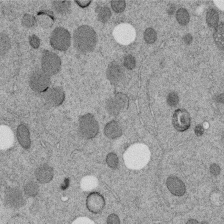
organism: C. elegans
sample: C. elegans embryo early stage